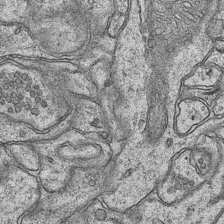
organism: Mouse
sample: CA1 Hippocampus